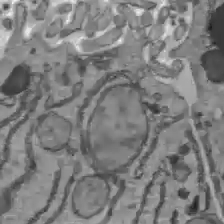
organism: C57BL Mouse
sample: Liver